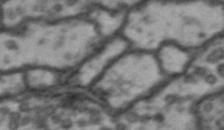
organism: Drosophila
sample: Brain